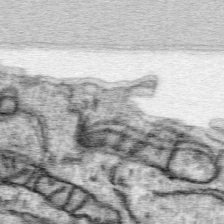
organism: Human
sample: HeLa cells